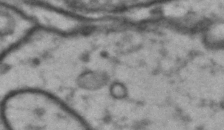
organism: Drosophila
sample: Brain